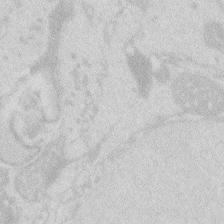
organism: Zebrafish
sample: Macrophage